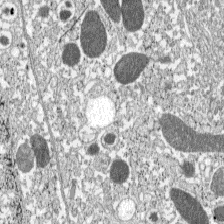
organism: C57BL Mouse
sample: Pancreatic islet